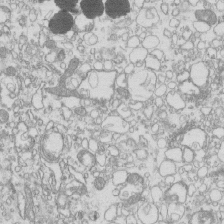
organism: Mouse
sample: Macrophages